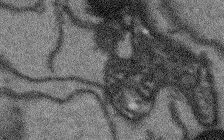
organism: Arabidopsis thaliana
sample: Root tip